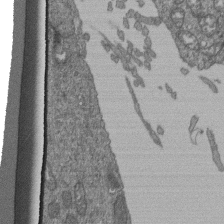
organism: Human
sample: Retinal organoid Rod and Cone cells